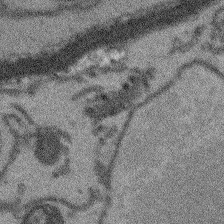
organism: Arabidopsis thaliana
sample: Root tip